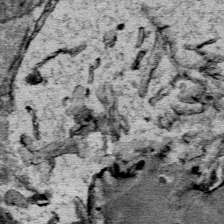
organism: Mouse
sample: Mouse Salivary gland